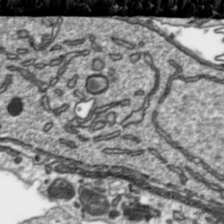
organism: Toxoplasma gondii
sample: Parasites in a vacuole inside a host cell